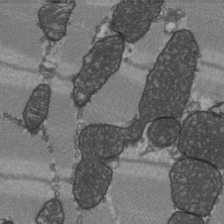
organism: C57BL Mouse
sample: Heart